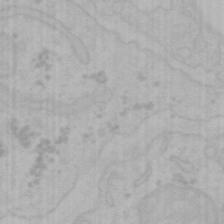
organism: Mouse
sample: Choroid plexus